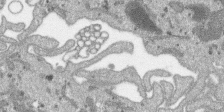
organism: Human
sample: Lung epithelial cells infected with SARS-CoV-2